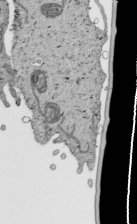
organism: Human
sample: Mitochondria in HCT116 cells